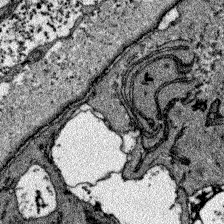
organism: Zebrafish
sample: Larval olfactory bulb